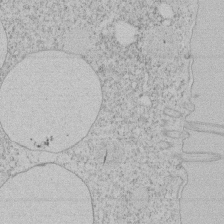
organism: Tetrahymena